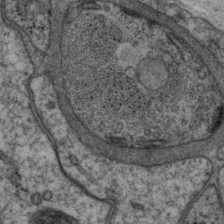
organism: P. pacificus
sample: Pharynx